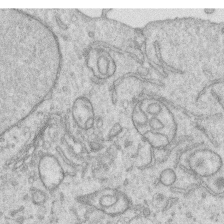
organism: Human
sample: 1205lu cells